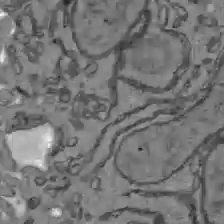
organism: C57BL Mouse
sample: Liver